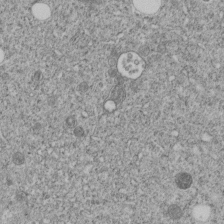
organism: C. elegans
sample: C. elegans embryo early stage